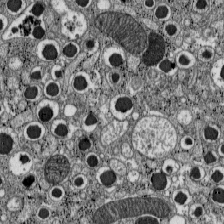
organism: C57BL Mouse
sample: Pancreatic islet